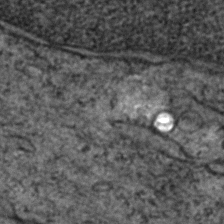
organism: Zebrafish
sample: Zebrafish embryo